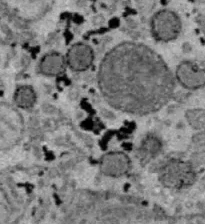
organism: Mouse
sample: Liver from an obese (ob/ob) mouse